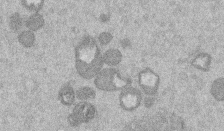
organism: Mouse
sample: Dividing mouse embryo 1 cell stage